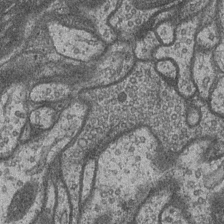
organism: Drosophila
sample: Optic medulla